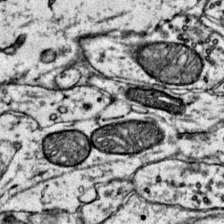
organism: Mouse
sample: Primary visual cortex